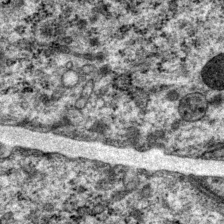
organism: P. pacificus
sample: Pharynx